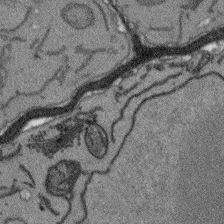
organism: Arabidopsis thaliana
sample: Root tip